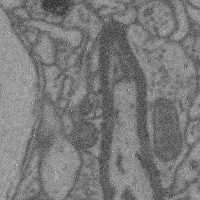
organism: Mouse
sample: Cerebral cortex